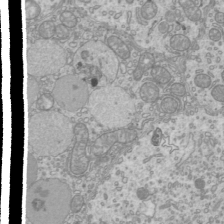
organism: Mouse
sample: Cilia; mouse epididymis